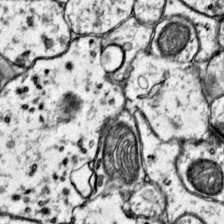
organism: Mouse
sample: Primary visual cortex